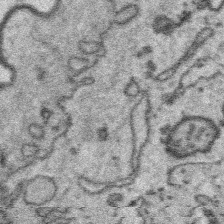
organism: Platynereis dumerilii